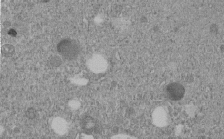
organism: C. elegans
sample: C. elegans embryo early stage